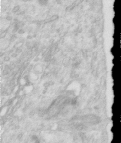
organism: Human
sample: Centriole in RPE cells